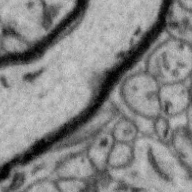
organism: Zebra finch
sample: Brain